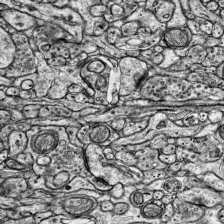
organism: Mouse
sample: Visual Cortex